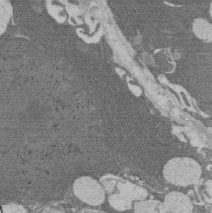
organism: Rat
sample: Salivary granule